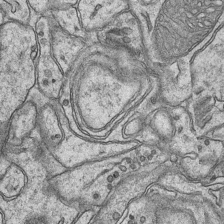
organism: Mouse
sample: CA1 Hippocampus